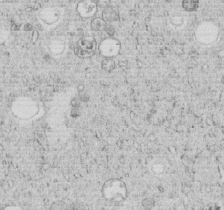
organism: C. elegans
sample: C. elegans embryo early stage